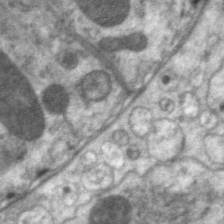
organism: C. elegans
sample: Pharynx